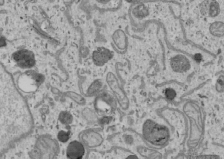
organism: Human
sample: Mitochondria in U2OS cells